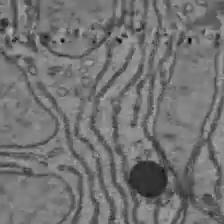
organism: C57BL Mouse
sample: Liver